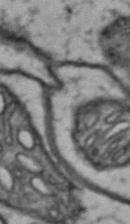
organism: Drosophila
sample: Brain